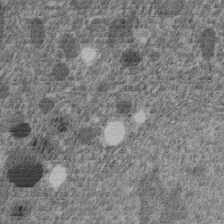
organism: C. elegans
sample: C. elegans embryo early stage